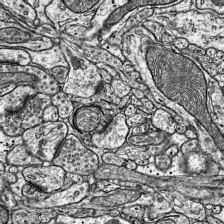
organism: Mouse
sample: Visual Cortex